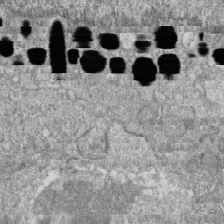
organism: Zebrafish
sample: Cilia; retinal pigment epithelium